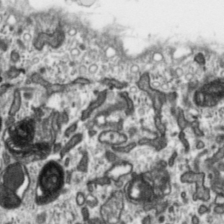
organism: Toxoplasma gondii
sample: Parasites in a vacuole inside a host cell